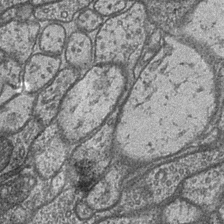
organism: Drosophila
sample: Optic medulla